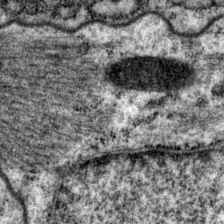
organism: P. pacificus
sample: Pharynx